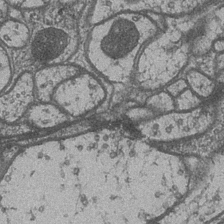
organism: Drosophila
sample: Optic medulla